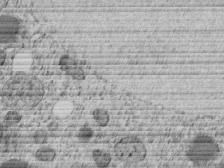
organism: C. elegans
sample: C. elegans embryo early stage